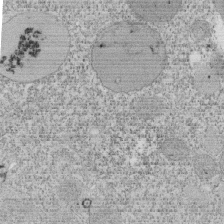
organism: Tetrahymena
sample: Cilia in tetrahymena